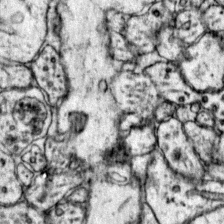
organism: Mouse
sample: Primary visual cortex